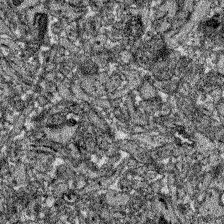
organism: Zebrafish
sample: Larval olfactory bulb